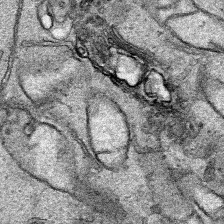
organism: Human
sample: Mitochondria in HCT116 cells